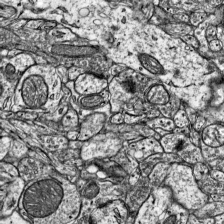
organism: Mouse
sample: Visual Cortex